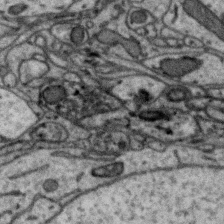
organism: Zebra finch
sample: Brain